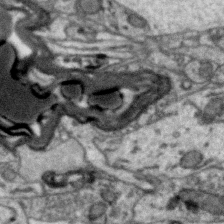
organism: Zebra finch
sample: Brain